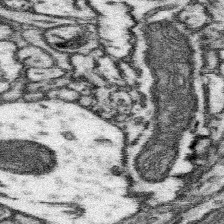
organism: Mouse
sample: Somatosensory cortex neuropil